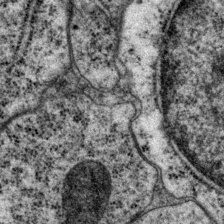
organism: P. pacificus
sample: Pharynx